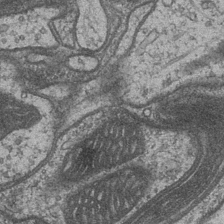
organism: Drosophila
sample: Optic medulla